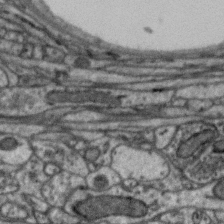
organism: Zebra finch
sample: Brain